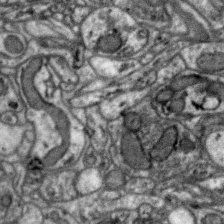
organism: Zebra finch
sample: Brain